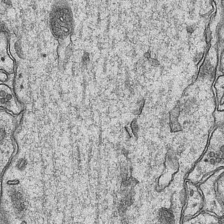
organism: Mouse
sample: CA1 Hippocampus